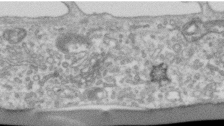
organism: Human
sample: Centriole in RPE cells